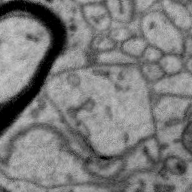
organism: Zebra finch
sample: Brain